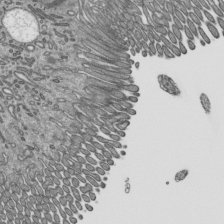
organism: Mouse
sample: Mouse epididymis efferent ductule cilia